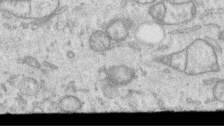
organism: Human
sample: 1205lu cells